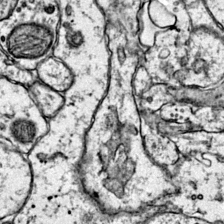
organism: Mouse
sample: Primary visual cortex